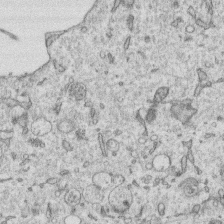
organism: Human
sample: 1205lu cells